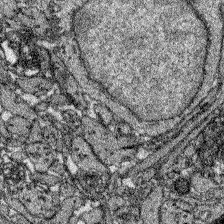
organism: Zebrafish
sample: Larval olfactory bulb